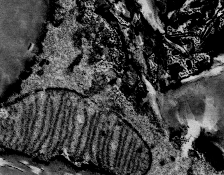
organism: Mouse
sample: Mouse Salivary gland